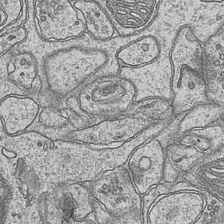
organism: Mouse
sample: CA1 Hippocampus